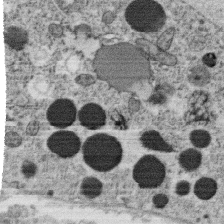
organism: C. elegans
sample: C. elegans oocyte; sperm cells